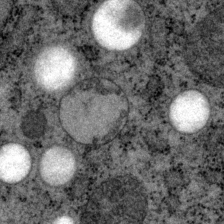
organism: P. pacificus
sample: Pharynx